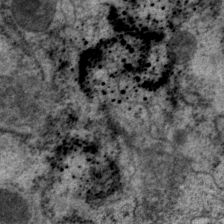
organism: P. pacificus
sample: Pharynx